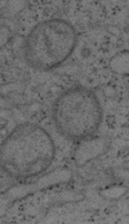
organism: Human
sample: HeLa cells